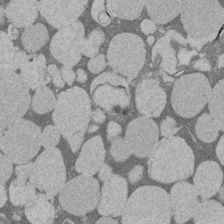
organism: Rat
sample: Salivary granule